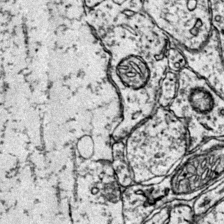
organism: Mouse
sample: Primary visual cortex